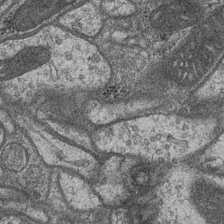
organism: Drosophila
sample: Optic medulla